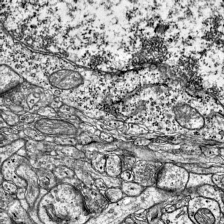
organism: Mouse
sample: Visual Cortex